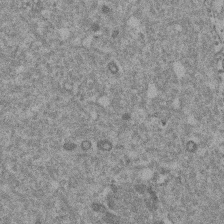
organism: Mouse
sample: Dividing mouse embryo 1 cell stage